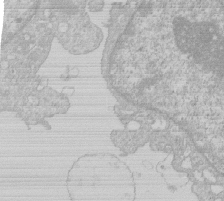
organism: Human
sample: Macrophage cells